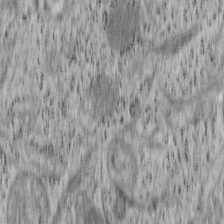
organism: Human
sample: HeLa cells